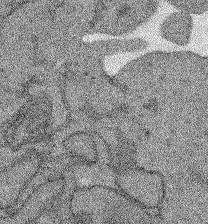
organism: Human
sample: HeLa cells